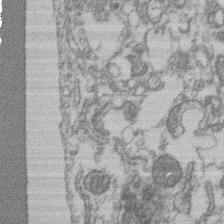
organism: Mouse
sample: T cell stromal cell synapse